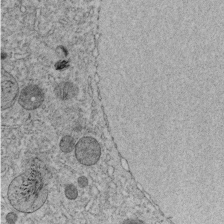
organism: C. elegans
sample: C. elegans embryo early stage